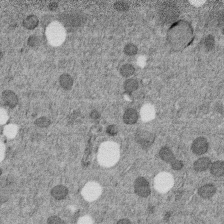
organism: C. elegans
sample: C. elegans embryo early stage